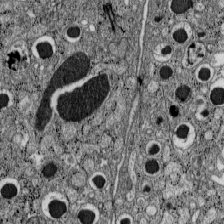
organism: C57BL Mouse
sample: Pancreatic islet